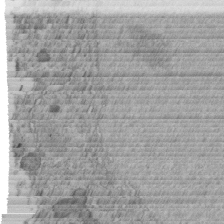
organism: C. elegans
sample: C. elegans embryo early stage